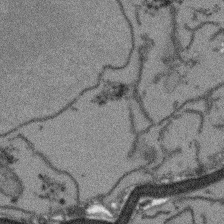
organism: Arabidopsis thaliana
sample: Root tip